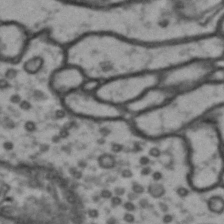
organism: Drosophila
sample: Brain